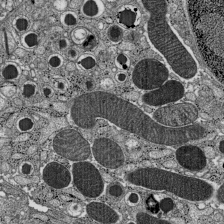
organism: C57BL Mouse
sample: Pancreatic islet